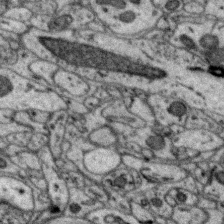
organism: Zebra finch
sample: Brain